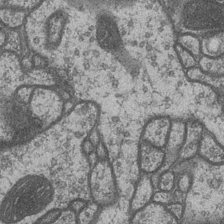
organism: Drosophila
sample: Optic medulla